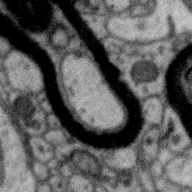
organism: Zebra finch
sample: Brain